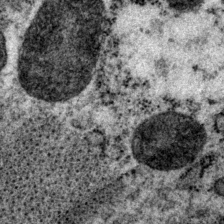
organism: P. pacificus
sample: Pharynx